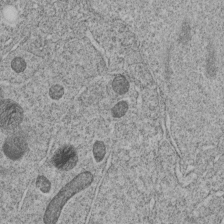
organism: C. elegans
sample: C. elegans embryo early stage